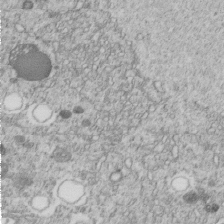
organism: C. elegans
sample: C. elegans embryo early stage